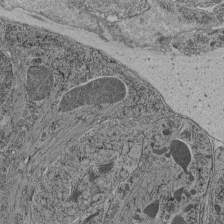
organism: C. elegans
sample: C. elegans pharynx